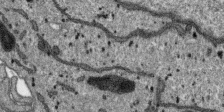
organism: Human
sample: Lung epithelial cells, uninfected (mock) control